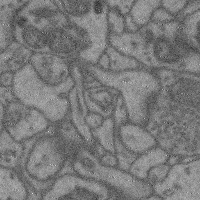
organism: Mouse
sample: Cerebral cortex